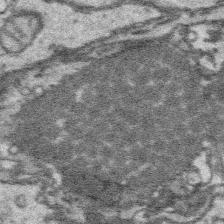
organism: Platynereis dumerilii